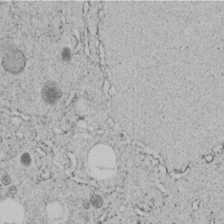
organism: C. elegans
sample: C. elegans embryo early stage